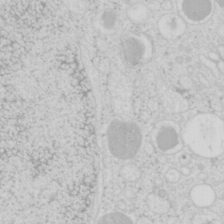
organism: Mouse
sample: Pancreas